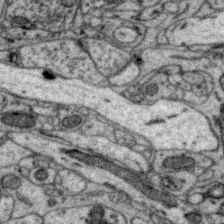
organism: Zebra finch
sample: Brain